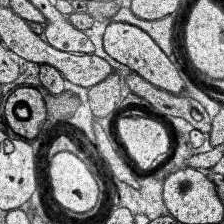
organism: Human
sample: Temporal Lobe